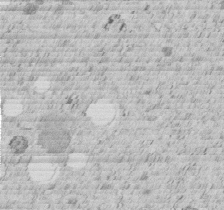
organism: C. elegans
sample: C. elegans embryo early stage